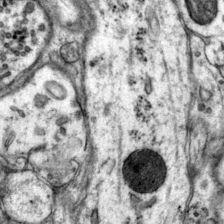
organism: Mouse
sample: Primary visual cortex